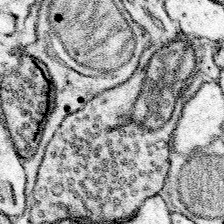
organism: Mouse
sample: Somatosensory cortex neuropil